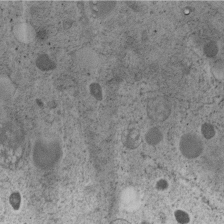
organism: C. elegans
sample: C. elegans embryo early stage